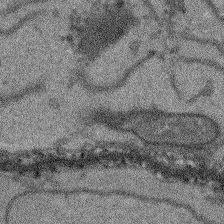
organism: Arabidopsis thaliana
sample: Root tip